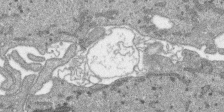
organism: Human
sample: Lung epithelial cells infected with SARS-CoV-2